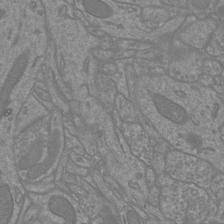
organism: Mouse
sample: Cortical neurons